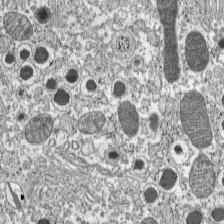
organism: C57BL Mouse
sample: Pancreatic islet